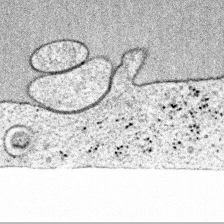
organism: Human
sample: HeLa cells